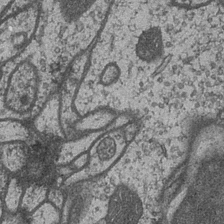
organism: Drosophila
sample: Optic medulla